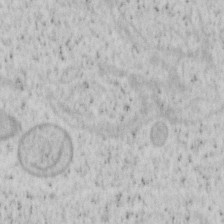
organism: Human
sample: HeLa cells